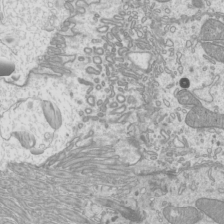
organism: Mouse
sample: Cilia; mouse epididymis